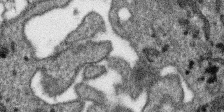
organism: Human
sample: Lung epithelial cells infected with SARS-CoV-2